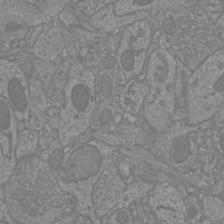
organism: Mouse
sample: Cortical neurons